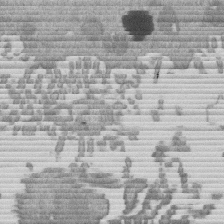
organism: Mouse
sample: Dividing mouse embryo 1 cell stage